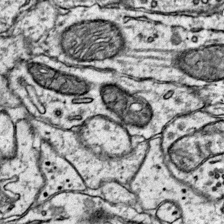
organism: Mouse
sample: Primary visual cortex